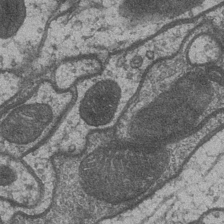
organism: Drosophila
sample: Optic medulla